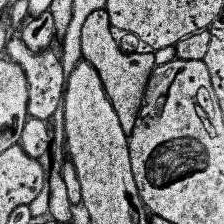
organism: Human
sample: Temporal Lobe